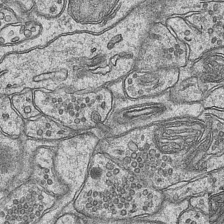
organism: Mouse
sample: CA1 Hippocampus